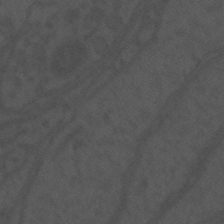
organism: Mouse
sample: Suprachiasmatic nucleus